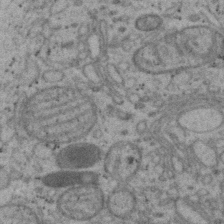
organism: Human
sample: HeLa cells